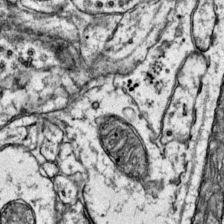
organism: Mouse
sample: Primary visual cortex